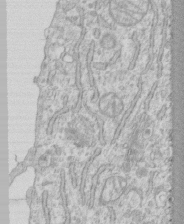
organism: Human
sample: CRL-1474